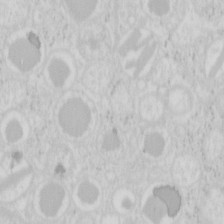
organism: Mouse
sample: Pancreas